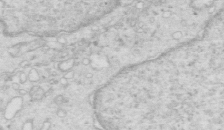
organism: Mouse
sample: Multiciliated cells